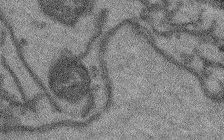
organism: Arabidopsis thaliana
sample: Root tip